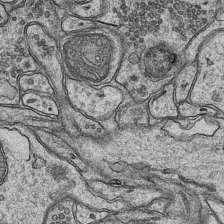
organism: Mouse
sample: CA1 Hippocampus